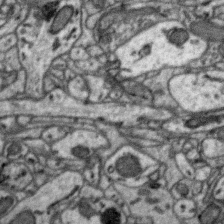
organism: Zebra finch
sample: Brain